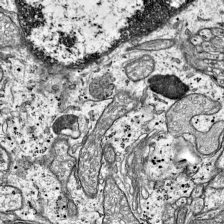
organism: Mouse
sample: Visual Cortex